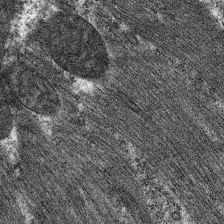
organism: C. elegans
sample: Pharynx